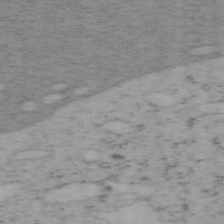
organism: Mouse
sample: OT-I killer T cells with ID8 ovarian cancer cells